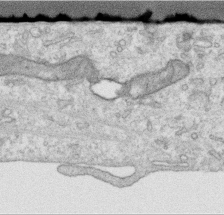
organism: Human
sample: Centriole in RPE cells